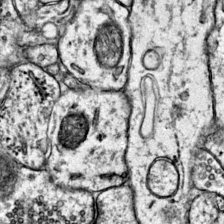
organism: Mouse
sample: Primary visual cortex